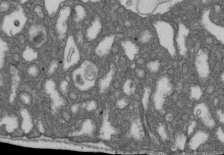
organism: Drosophila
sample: Nephrocyte